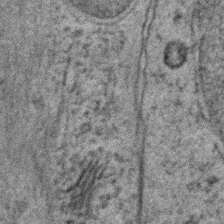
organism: Zebrafish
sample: Zebrafish embryo